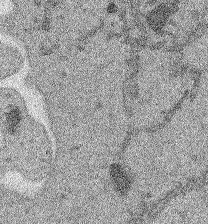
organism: Human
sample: HeLa cells